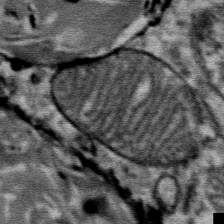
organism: Mouse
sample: Mouse Salivary gland